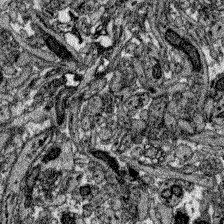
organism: Zebrafish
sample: Larval olfactory bulb